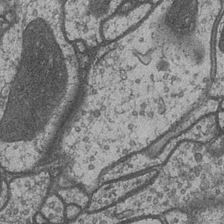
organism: Drosophila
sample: Optic medulla